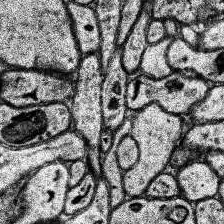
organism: Human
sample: Temporal Lobe